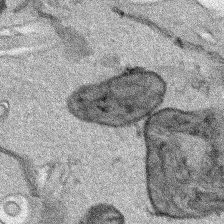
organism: Human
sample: Mitochondria in HCT116 cells